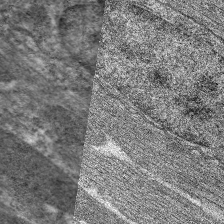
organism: C. elegans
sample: Pharynx